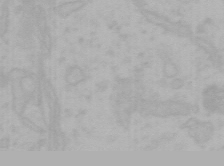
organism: Mouse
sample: Choroid plexus